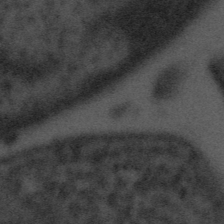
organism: Tuwongella immobilis